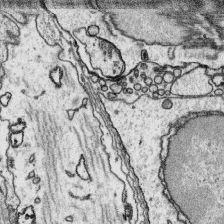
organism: Platynereis dumerilii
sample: Parapodia